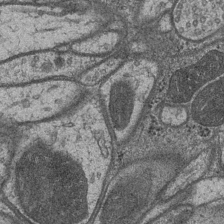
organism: Drosophila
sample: Optic medulla